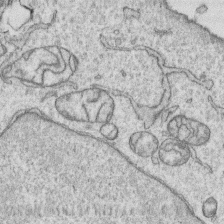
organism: Human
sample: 1205lu cells